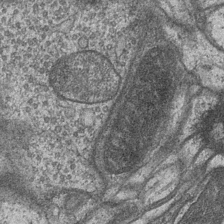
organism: Drosophila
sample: Optic medulla